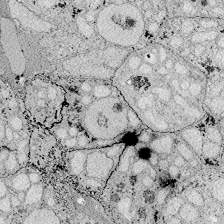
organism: Zebrafish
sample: Whole-Brain